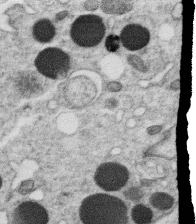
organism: C. elegans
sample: C. elegans oocyte; sperm cells